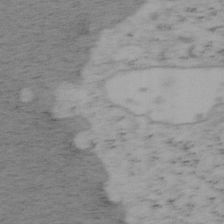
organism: Mouse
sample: OT-I killer T cells with ID8 ovarian cancer cells